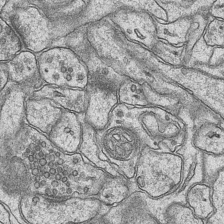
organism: Mouse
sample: CA1 Hippocampus